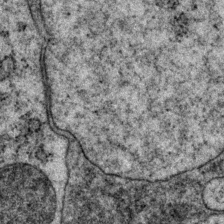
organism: P. pacificus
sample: Pharynx